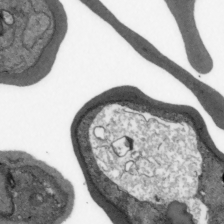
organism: Plasmodium falciparum